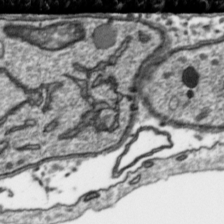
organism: Toxoplasma gondii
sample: Parasites in a vacuole inside a host cell